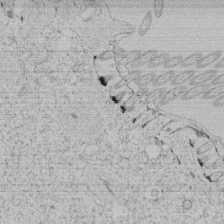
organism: Tetrahymena